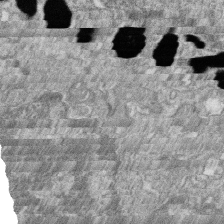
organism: Zebrafish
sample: Cilia; retinal pigment epithelium